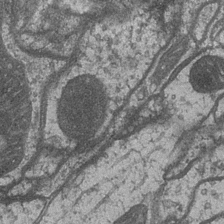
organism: Drosophila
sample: Optic medulla